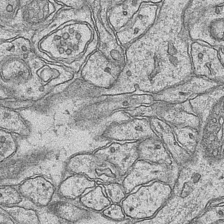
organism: Mouse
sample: CA1 Hippocampus